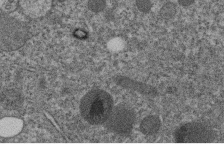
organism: C. elegans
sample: C. elegans embryo early stage